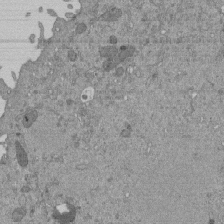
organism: Mouse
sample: ED-1 cell nuclei; centrioles